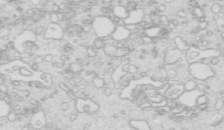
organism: Mouse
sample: Multiciliated cells